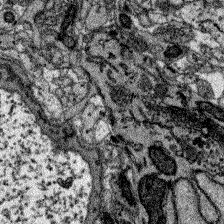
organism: Zebrafish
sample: Larval olfactory bulb